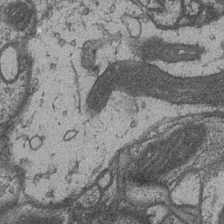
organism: Drosophila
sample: Optic medulla